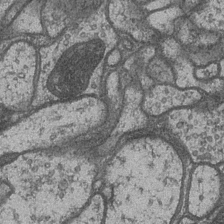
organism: Drosophila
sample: Optic medulla